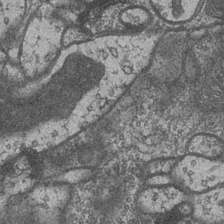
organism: Drosophila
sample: Optic medulla